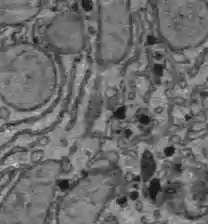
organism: C57BL Mouse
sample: Liver